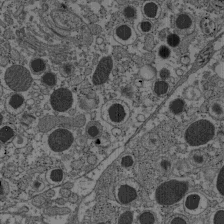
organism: C57BL Mouse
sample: Pancreatic islet